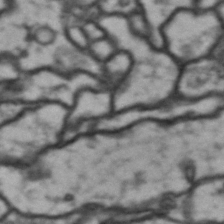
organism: Drosophila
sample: Brain